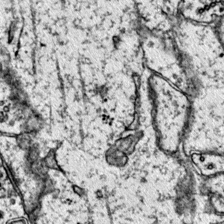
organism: Mouse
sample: Primary visual cortex